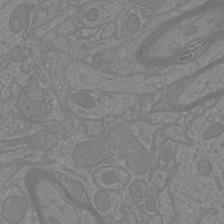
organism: Mouse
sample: Cortical neurons